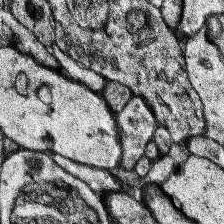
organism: Human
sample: Temporal Lobe